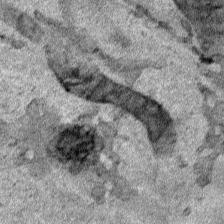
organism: Human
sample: Mitochondria in HCT116 cells